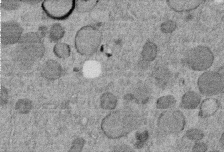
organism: C. elegans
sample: C. elegans embryo early stage